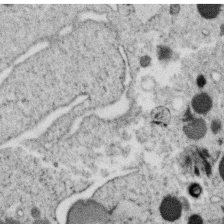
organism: C. elegans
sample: C. elegans oocyte; sperm cells